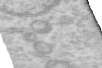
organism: Human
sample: Centriole in RPE cells